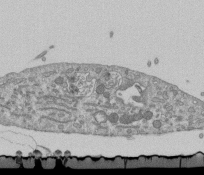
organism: Mouse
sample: ED-1 cell nuclei; centrioles